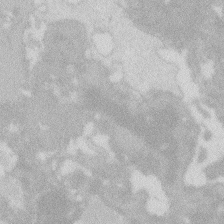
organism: Zebrafish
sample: Macrophage